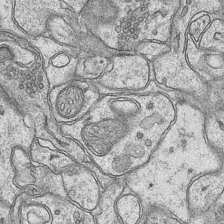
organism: Mouse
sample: CA1 Hippocampus